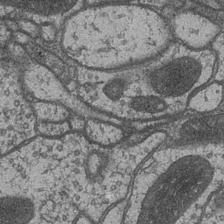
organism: Drosophila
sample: Optic medulla